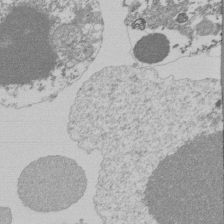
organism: Mouse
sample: Activated Pmel transgenic CD8+ T Cells